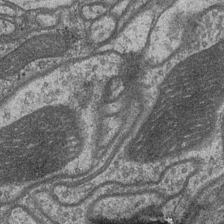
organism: Drosophila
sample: Optic medulla